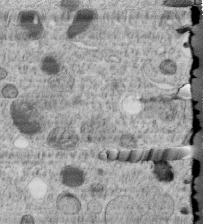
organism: C. elegans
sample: C. elegans embryo early stage